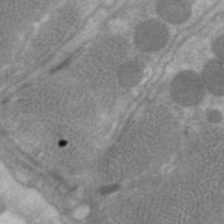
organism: C. elegans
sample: Pharynx